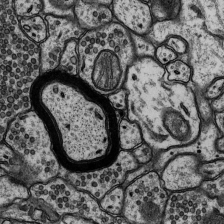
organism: Rat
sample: Hippocampus